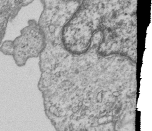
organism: Human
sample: MDA-MB-231 cells